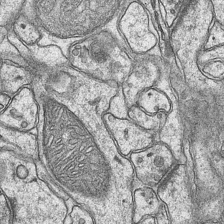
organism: Mouse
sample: CA1 Hippocampus